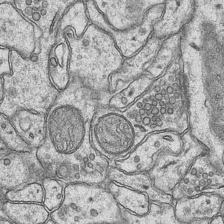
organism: Mouse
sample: CA1 Hippocampus